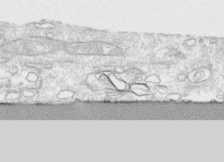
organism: Human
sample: CRL-1474